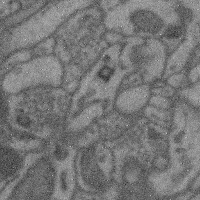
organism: Mouse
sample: Cerebral cortex